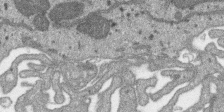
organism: Human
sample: Lung epithelial cells infected with SARS-CoV-2